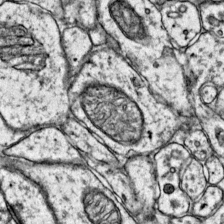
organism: Mouse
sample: Primary visual cortex